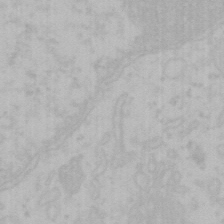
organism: Mouse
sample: Choroid plexus